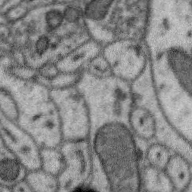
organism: Zebra finch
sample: Brain